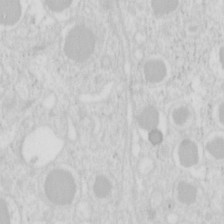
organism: Mouse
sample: Pancreas